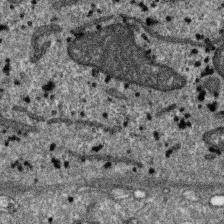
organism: Human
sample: Lung epithelial cells infected with SARS-CoV-2